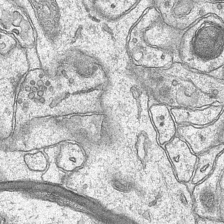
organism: Mouse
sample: CA1 Hippocampus